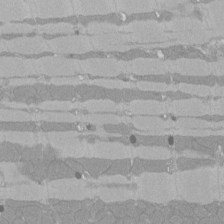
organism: Rat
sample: Left ventricle